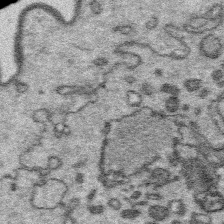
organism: Platynereis dumerilii